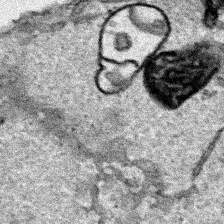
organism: Human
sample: Mitochondria in HCT116 cells